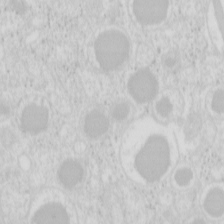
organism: Mouse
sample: Pancreas